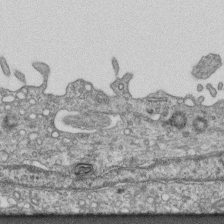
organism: Mouse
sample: Centriole in ependymal cells